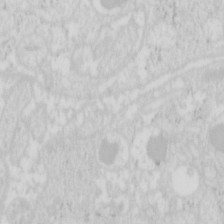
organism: Mouse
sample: Pancreas